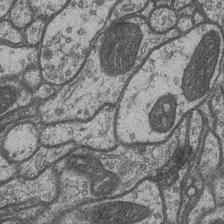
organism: Drosophila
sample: Optic medulla